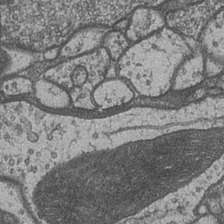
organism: Drosophila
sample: Optic medulla